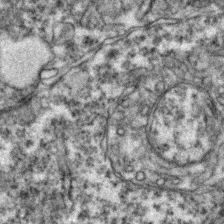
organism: Zebrafish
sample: Zebrafish embryo